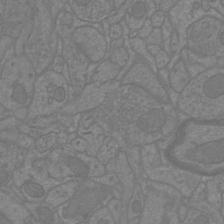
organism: Mouse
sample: Cortical neurons